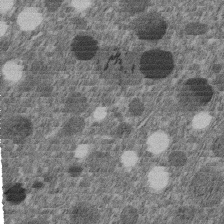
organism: C. elegans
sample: C. elegans embryo early stage